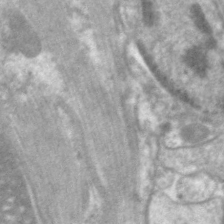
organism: C. elegans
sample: Pharynx